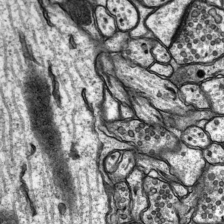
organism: Rat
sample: Hippocampus